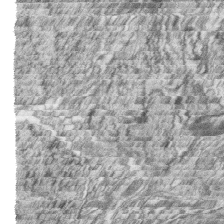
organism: Zebrafish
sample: synaptic ribbons in rod cells and cone cells